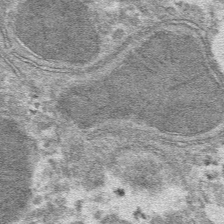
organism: Mouse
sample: Mouse hepatocytes